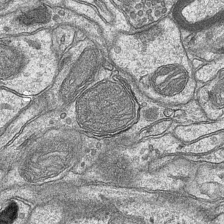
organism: Mouse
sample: CA1 Hippocampus